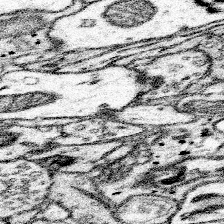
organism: Mouse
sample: Somatosensory cortex neuropil